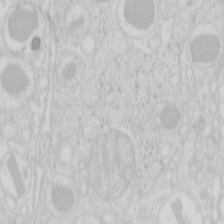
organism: Mouse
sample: Pancreas